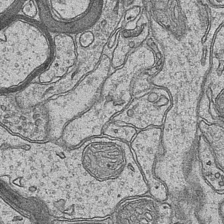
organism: Mouse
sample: CA1 Hippocampus